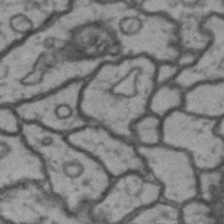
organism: Drosophila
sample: Brain